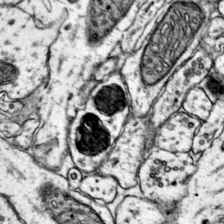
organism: Mouse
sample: Primary visual cortex